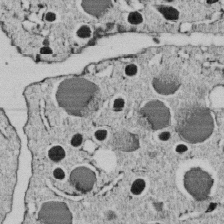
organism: C. elegans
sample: C. elegans embryo early stage